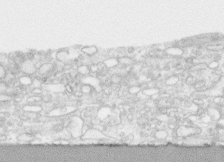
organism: Human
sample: CRL-1474